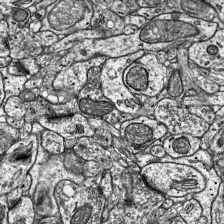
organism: Mouse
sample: Visual Cortex